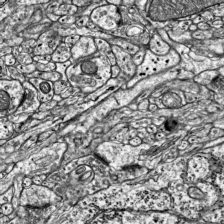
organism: Mouse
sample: Visual Cortex